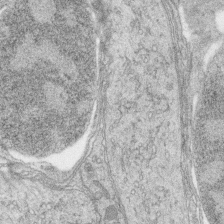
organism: Zebrafish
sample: synaptic ribbons in rod cells and cone cells